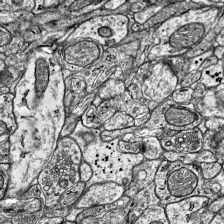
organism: Mouse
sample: Visual Cortex